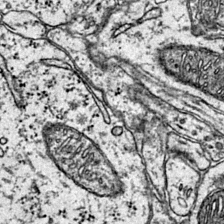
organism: Mouse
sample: Primary visual cortex